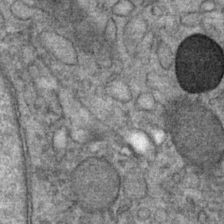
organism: Mouse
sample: Mouse Salivary gland